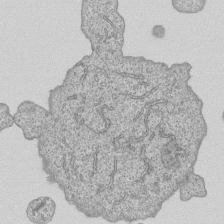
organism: Human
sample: MDA-MB-231 cells